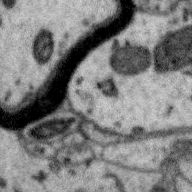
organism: Zebra finch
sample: Brain